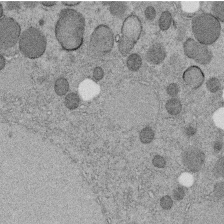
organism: C. elegans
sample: C. elegans embryo early stage